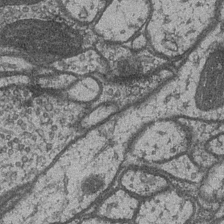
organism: Drosophila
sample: Optic medulla